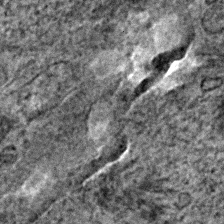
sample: Trachea